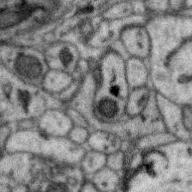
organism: Zebra finch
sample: Brain